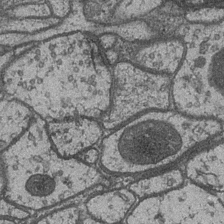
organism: Drosophila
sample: Optic medulla